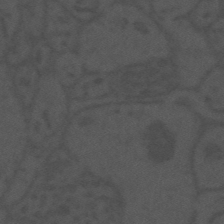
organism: Mouse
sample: Suprachiasmatic nucleus